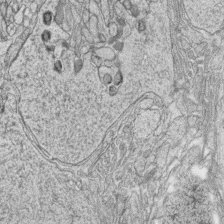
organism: Zebrafish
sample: synaptic ribbons in rod cells and cone cells